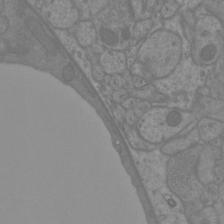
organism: Mouse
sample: Cortical neurons